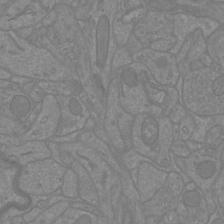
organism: Mouse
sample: Cortical neurons